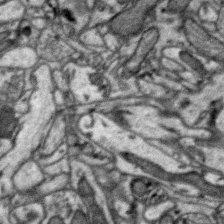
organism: Zebra finch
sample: Brain